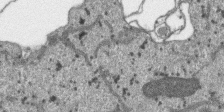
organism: Human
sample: Lung epithelial cells infected with SARS-CoV-2